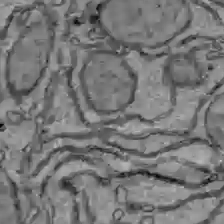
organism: C57BL Mouse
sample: Liver